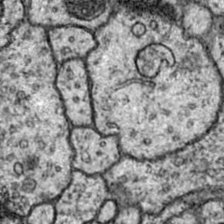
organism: Drosophila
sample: Ventral Nerve Cord